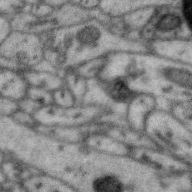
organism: Zebra finch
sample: Brain